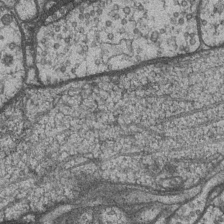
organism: Drosophila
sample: Optic medulla